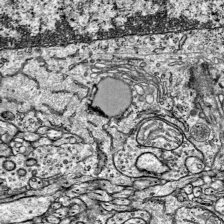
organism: Mouse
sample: Visual Cortex